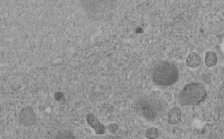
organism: C. elegans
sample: C. elegans embryo early stage